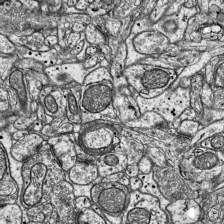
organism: Mouse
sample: Visual Cortex